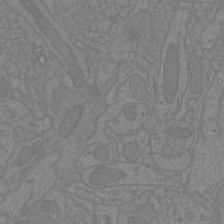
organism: Mouse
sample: Cortical neurons